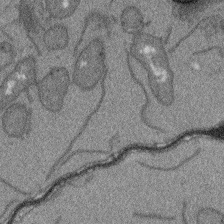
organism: Arabidopsis thaliana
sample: Root tip